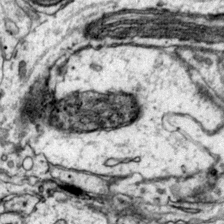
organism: Mouse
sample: Primary visual cortex